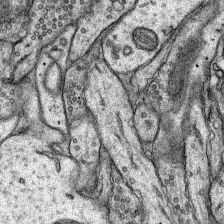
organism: Rat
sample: Hippocampus